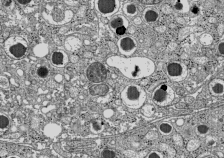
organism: C57BL Mouse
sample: Pancreatic islet